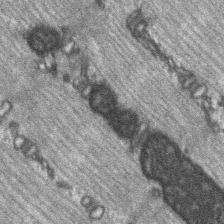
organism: C57BL Mouse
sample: Soleus